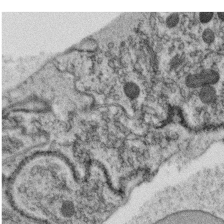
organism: C. elegans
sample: C. elegans oocyte; sperm cells